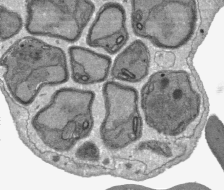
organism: Plasmodium falciparum